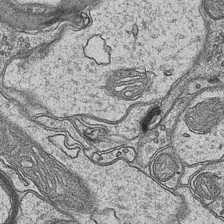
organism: Mouse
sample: CA1 Hippocampus